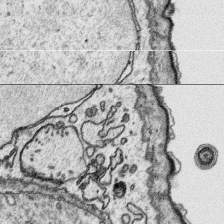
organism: Platynereis dumerilii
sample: Parapodia